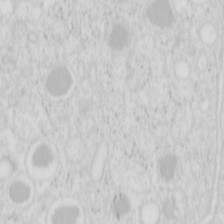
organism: Mouse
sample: Pancreas